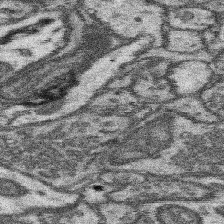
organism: Mouse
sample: Somatosensory cortex neuropil